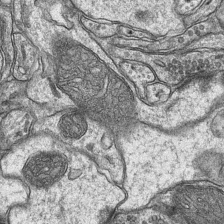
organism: Mouse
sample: CA1 Hippocampus